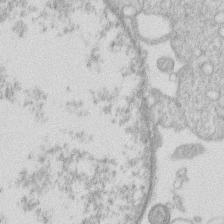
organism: Human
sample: Macrophage cells